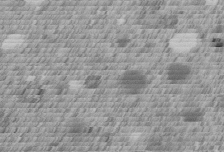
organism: C. elegans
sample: C. elegans embryo early stage